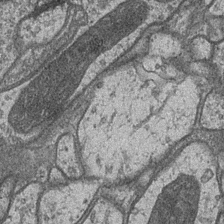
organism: Drosophila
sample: Optic medulla